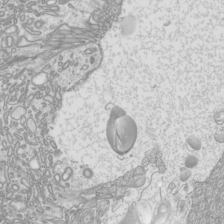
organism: Mouse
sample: Cilia; mouse epididymis